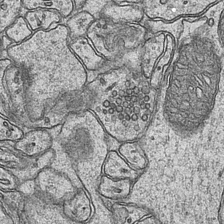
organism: Mouse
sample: CA1 Hippocampus